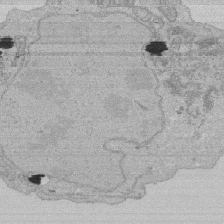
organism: Human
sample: Activated Jurkat CD4+ T cells